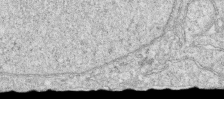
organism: Human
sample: HeLa cell HIV synapse